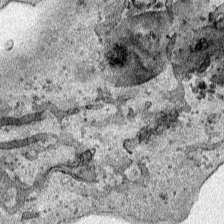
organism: Human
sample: Mitochondria in HCT116 cells